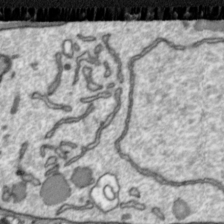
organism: Toxoplasma gondii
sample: Parasites in a vacuole inside a host cell